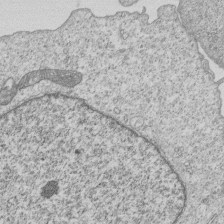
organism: Human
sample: MDA-MB-231 cells